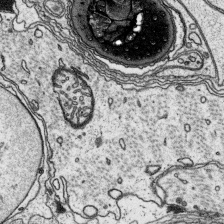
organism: Platynereis dumerilii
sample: Parapodia